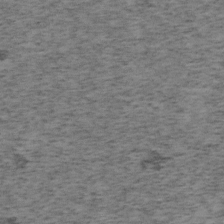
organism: Mouse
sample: OT-I killer T cells with ID8 ovarian cancer cells